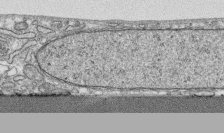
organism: Human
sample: CRL-1474